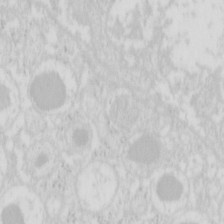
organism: Mouse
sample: Pancreas